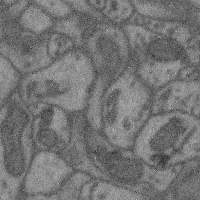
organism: Mouse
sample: Cerebral cortex